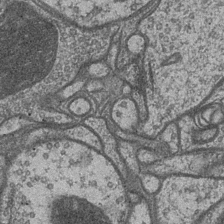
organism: Drosophila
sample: Optic medulla